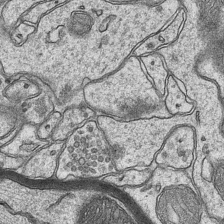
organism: Mouse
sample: CA1 Hippocampus